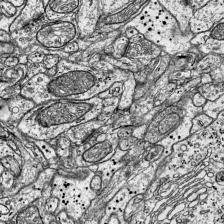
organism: Mouse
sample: Visual Cortex